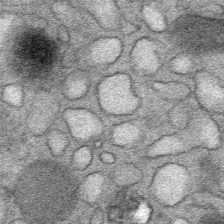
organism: Mouse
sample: Mouse Salivary gland